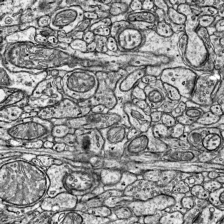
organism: Mouse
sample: Visual Cortex